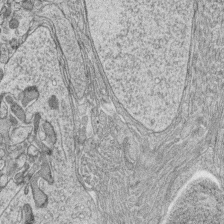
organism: Zebrafish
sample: synaptic ribbons in rod cells and cone cells